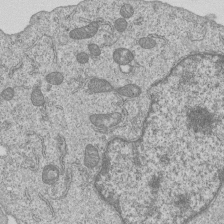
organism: Human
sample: MDA-MB-231 cells